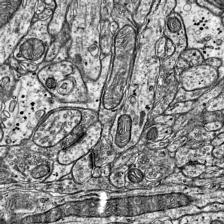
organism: Mouse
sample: Visual Cortex